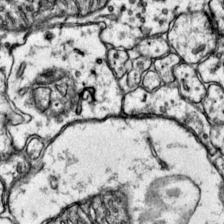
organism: Mouse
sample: Primary visual cortex